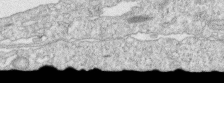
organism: Human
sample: HeLa cell HIV synapse